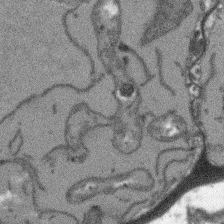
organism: Arabidopsis thaliana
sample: Root tip